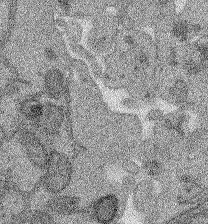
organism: Human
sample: HeLa cells